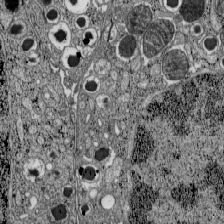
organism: C57BL Mouse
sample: Pancreatic islet